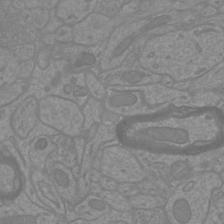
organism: Mouse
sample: Cortical neurons